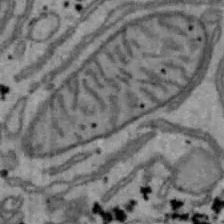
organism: Mouse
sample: Liver